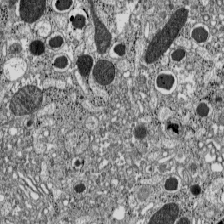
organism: C57BL Mouse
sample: Pancreatic islet